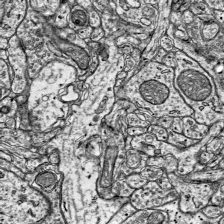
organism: Mouse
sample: Visual Cortex